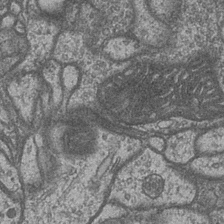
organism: Drosophila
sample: Optic medulla